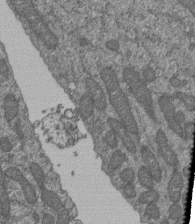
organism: Human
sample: Retinal organoid Rod and Cone cells